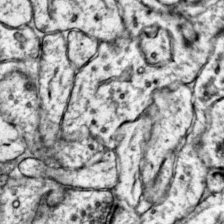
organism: Mouse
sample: Primary visual cortex